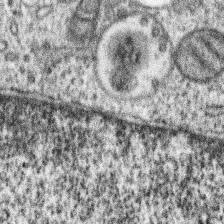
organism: Human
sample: HeLa cells